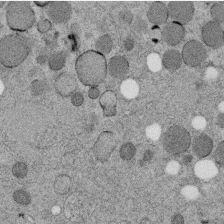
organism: C. elegans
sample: C. elegans embryo early stage